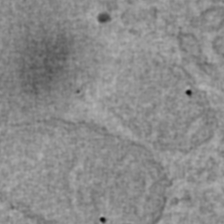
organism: Human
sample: Blood